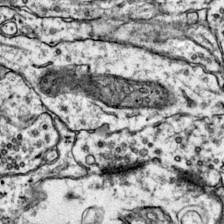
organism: Mouse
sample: Primary visual cortex